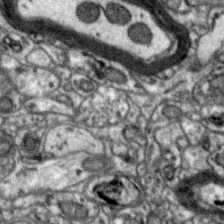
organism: Zebra finch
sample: Brain